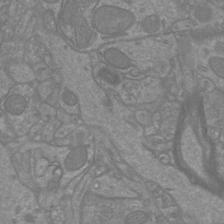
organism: Mouse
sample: Cortical neurons